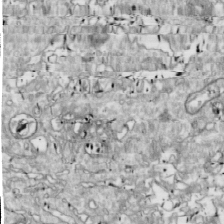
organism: Drosophila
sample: Cell division; meiosis; drosophila spermatocytes